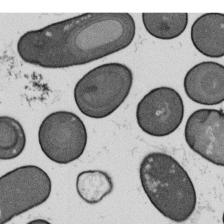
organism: B. subtilis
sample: Bacterial spore